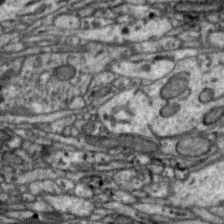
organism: Zebra finch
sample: Brain